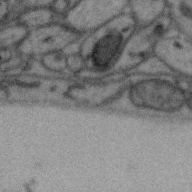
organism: Zebra finch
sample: Brain